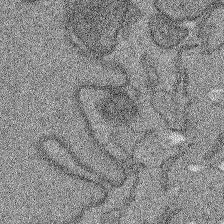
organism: Human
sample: HeLa cells